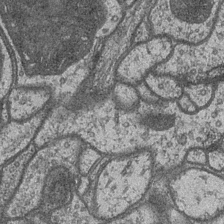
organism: Drosophila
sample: Optic medulla